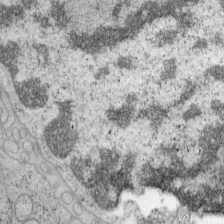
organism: Mouse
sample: OT-I killer T cells with ID8 ovarian cancer cells